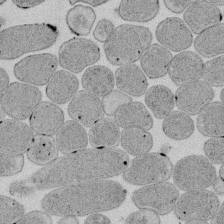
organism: E. coli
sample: Bacterial nucleoid